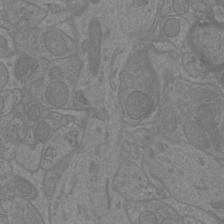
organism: Mouse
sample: Cortical neurons